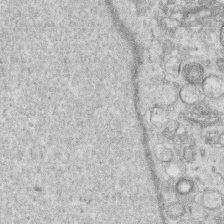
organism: Human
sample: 1205lu cells